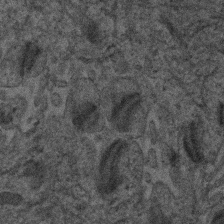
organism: Human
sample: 1205lu cells